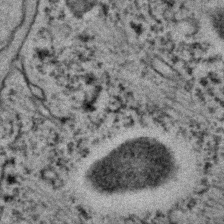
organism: C. elegans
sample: C. elegans embryo